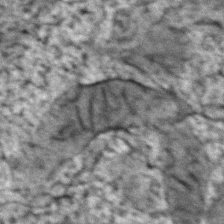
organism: Zebrafish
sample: Zebrafish embryo